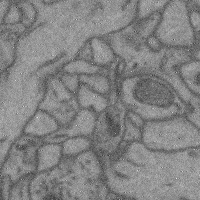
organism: Mouse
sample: Cerebral cortex